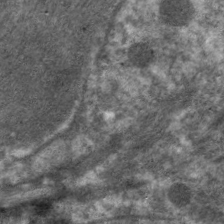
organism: C. elegans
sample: Pharynx